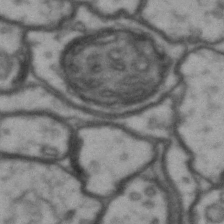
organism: Drosophila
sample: Brain